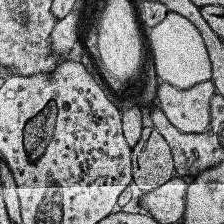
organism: Human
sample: Temporal Lobe